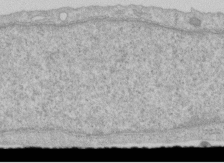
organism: Human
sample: Centriole in RPE cells